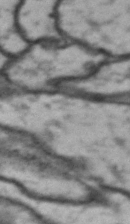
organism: Drosophila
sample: Brain